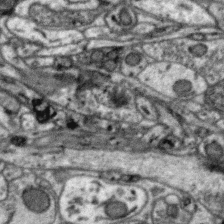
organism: Zebra finch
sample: Brain